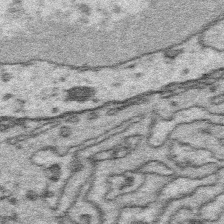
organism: Platynereis dumerilii